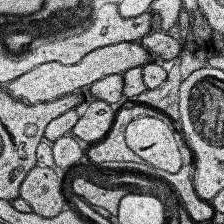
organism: Human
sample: Temporal Lobe